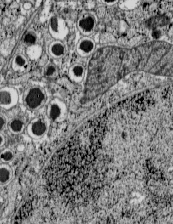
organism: C57BL Mouse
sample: Pancreatic islet